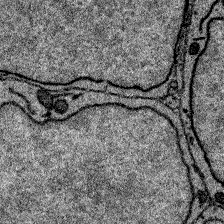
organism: Zebrafish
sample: Larval olfactory bulb